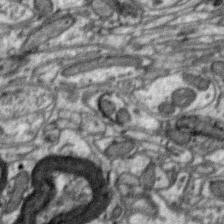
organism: Zebra finch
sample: Brain